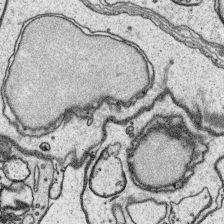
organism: Platynereis dumerilii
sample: Parapodia